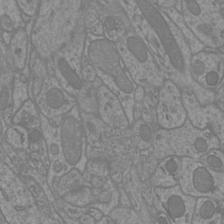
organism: Mouse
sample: Cortical neurons